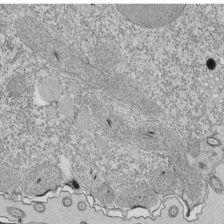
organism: Tetrahymena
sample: Cilia in tetrahymena